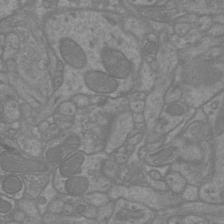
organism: Mouse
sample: Cortical neurons